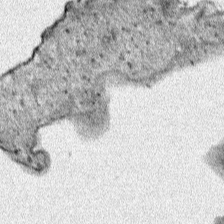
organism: Human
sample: Mitochondria in HCT116 cells